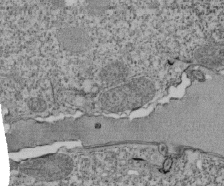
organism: Tetrahymena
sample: Cilia in tetrahymena